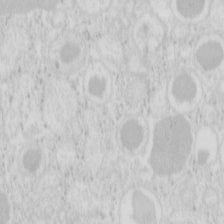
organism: Mouse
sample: Pancreas